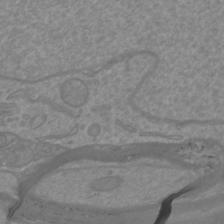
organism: Mouse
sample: Cortical neurons